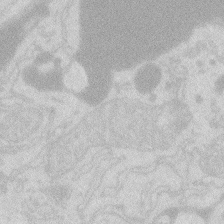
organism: Zebrafish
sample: Macrophage